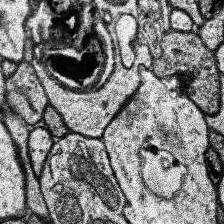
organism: Human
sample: Temporal Lobe